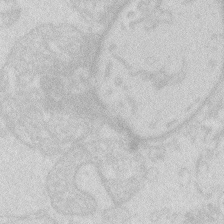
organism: Zebrafish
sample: Macrophage